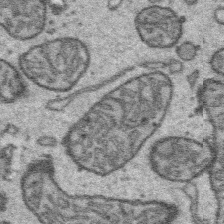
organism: Platynereis dumerilii